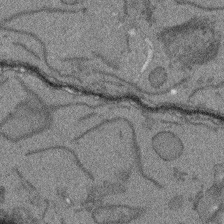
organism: Arabidopsis thaliana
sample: Root tip